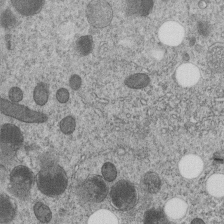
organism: C. elegans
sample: C. elegans embryo early stage